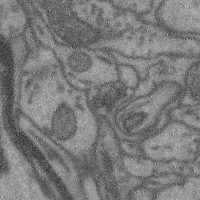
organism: Mouse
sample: Cerebral cortex